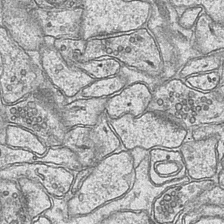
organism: Mouse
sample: CA1 Hippocampus